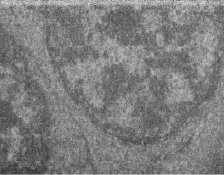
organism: Zebrafish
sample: Cilia; retinal pigment epithelium